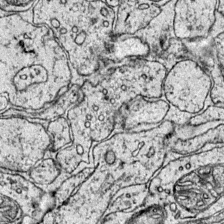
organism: Mouse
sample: Primary visual cortex